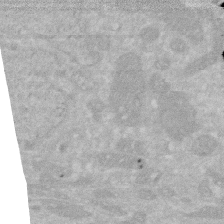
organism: Human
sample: HIV infected U937 cells